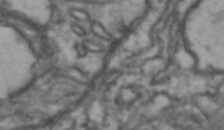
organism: Drosophila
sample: Brain